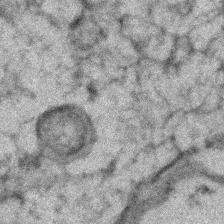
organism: Zebrafish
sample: Zebrafish embryo